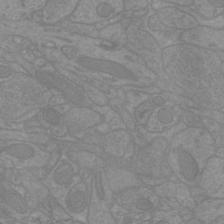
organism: Mouse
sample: Cortical neurons